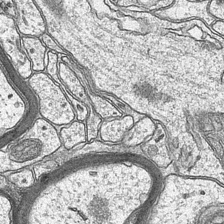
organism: Mouse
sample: CA1 Hippocampus